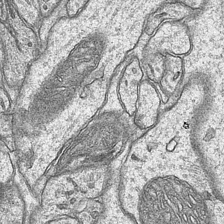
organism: Mouse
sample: CA1 Hippocampus